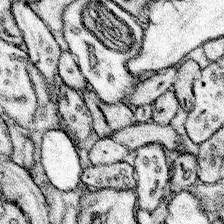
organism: Mouse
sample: Somatosensory cortex neuropil